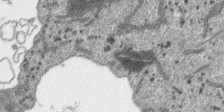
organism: Human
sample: Lung epithelial cells infected with SARS-CoV-2